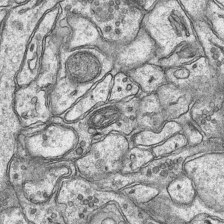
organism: Mouse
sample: CA1 Hippocampus